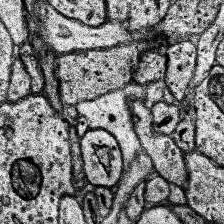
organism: Human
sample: Temporal Lobe